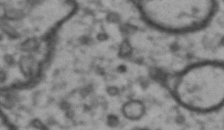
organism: Drosophila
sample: Brain